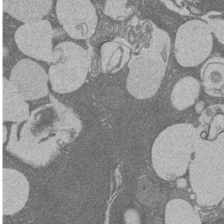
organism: Rat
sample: Salivary granule